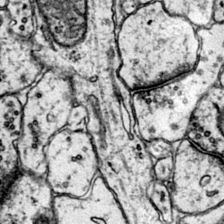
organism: Mouse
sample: Primary visual cortex